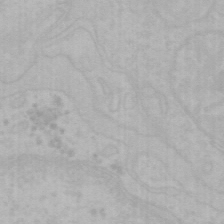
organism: Mouse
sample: Choroid plexus